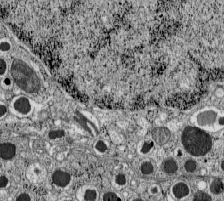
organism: C57BL Mouse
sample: Pancreatic islet